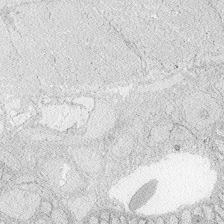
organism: Zebrafish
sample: Whole-Brain